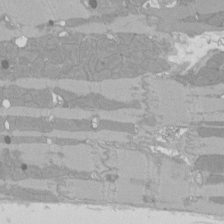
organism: Rat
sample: Left ventricle